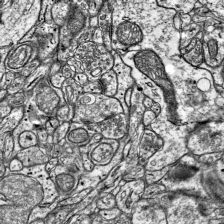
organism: Mouse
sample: Visual Cortex